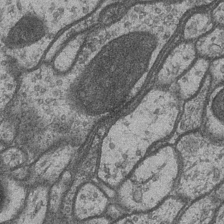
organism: Drosophila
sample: Optic medulla